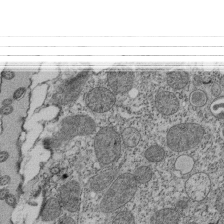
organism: Tetrahymena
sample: Cilia in tetrahymena